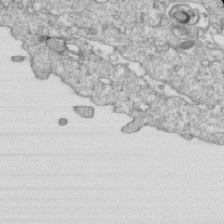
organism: Mouse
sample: Activated OT-1 CD8+ T cells